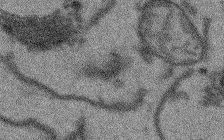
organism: Arabidopsis thaliana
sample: Root tip